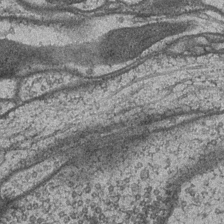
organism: Drosophila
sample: Optic medulla